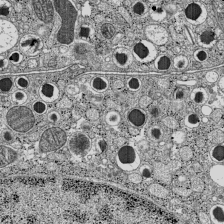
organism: C57BL Mouse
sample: Pancreatic islet